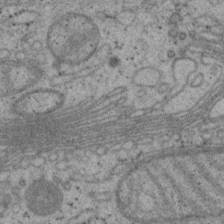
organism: Human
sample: HeLa cells